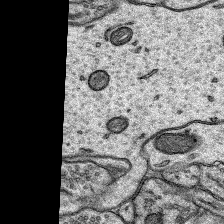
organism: Rat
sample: Hippocampus